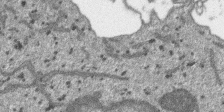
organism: Human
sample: Lung epithelial cells infected with SARS-CoV-2